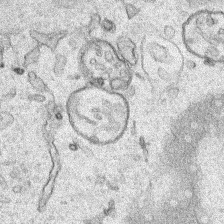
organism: Human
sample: Mitochondria in HCT116 cells